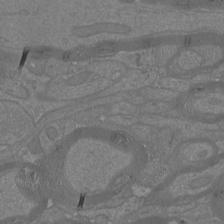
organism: Mouse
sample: Cortical neurons